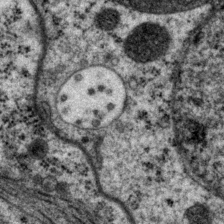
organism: P. pacificus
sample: Pharynx